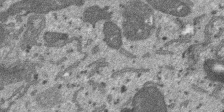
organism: Human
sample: Lung epithelial cells infected with SARS-CoV-2